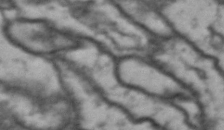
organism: Drosophila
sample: Brain